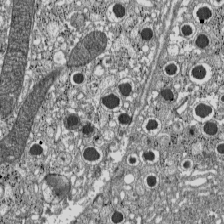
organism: C57BL Mouse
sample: Pancreatic islet